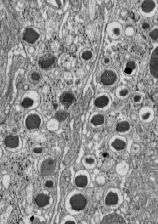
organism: C57BL Mouse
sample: Pancreatic islet